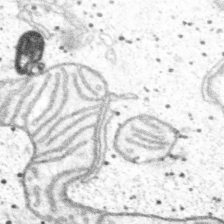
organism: Human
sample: HeLa cells